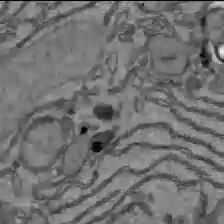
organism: C57BL Mouse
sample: Liver